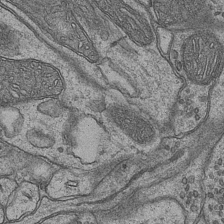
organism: Mouse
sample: CA1 Hippocampus